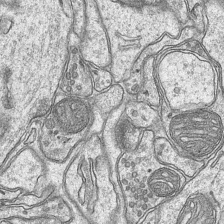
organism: Mouse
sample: CA1 Hippocampus